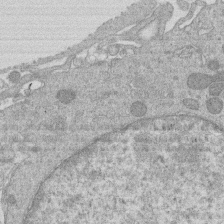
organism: Human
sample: Macrophage cells